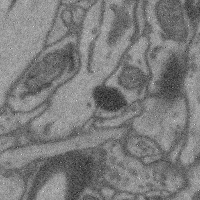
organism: Mouse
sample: Cerebral cortex